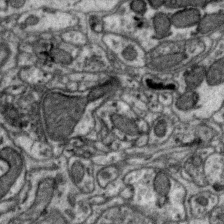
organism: Zebra finch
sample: Brain